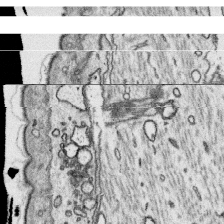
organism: Platynereis dumerilii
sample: Parapodia